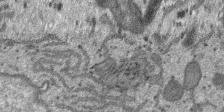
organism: Human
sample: Lung epithelial cells infected with SARS-CoV-2